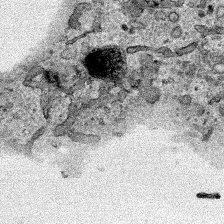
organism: Human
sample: Mitochondria in HCT116 cells